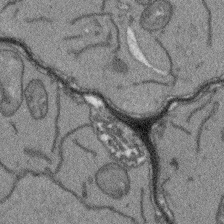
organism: Arabidopsis thaliana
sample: Root tip